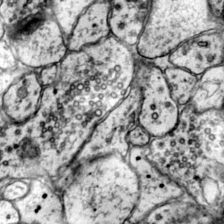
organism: Mouse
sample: Primary visual cortex